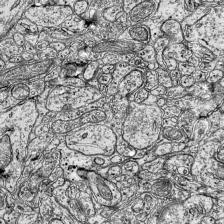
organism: Mouse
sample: Visual Cortex